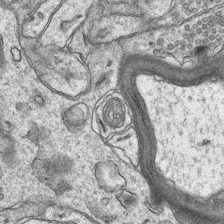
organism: Mouse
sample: CA1 Hippocampus